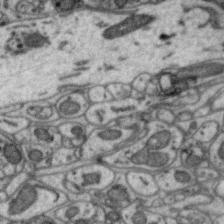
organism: Zebra finch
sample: Brain